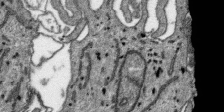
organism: Human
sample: Lung epithelial cells, uninfected (mock) control